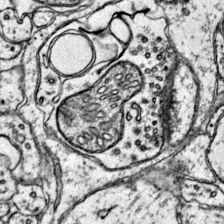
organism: Mouse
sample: Primary visual cortex